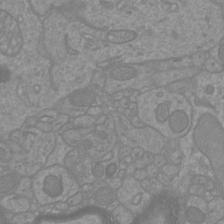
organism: Mouse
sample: Cortical neurons